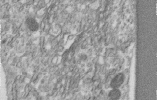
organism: Human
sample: Centriole in RPE cells